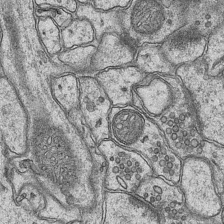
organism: Mouse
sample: CA1 Hippocampus